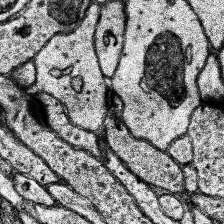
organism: Human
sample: Temporal Lobe